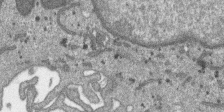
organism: Human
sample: Lung epithelial cells infected with SARS-CoV-2